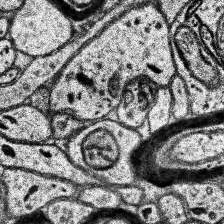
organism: Human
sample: Temporal Lobe